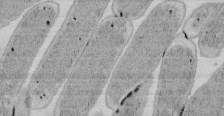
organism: E. coli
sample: Bacterial nucleoid